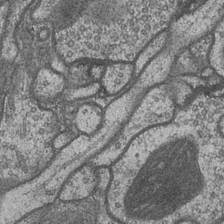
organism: Drosophila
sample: Optic medulla